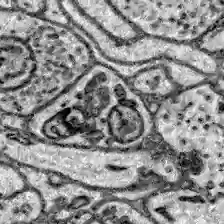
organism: Zebrafish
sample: Brain